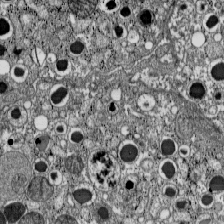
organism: C57BL Mouse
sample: Pancreatic islet